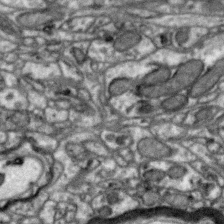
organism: Zebra finch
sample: Brain